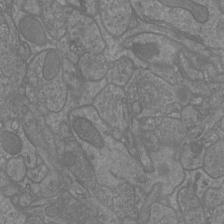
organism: Mouse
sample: Cortical neurons